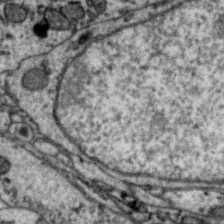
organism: Zebra finch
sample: Brain